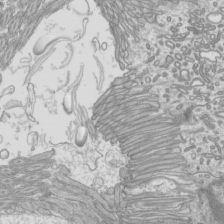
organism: Mouse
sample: Cilia; mouse epididymis